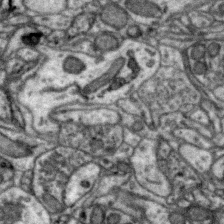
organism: Zebra finch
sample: Brain